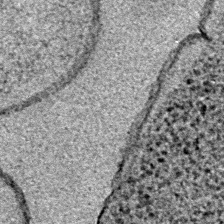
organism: E. coli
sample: E. Coli Bacteria